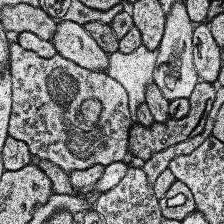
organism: Human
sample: Temporal Lobe